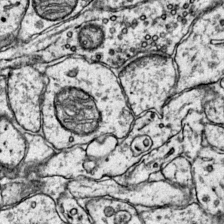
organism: Mouse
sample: Primary visual cortex